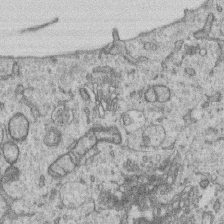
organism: Human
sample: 1205lu cells